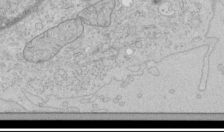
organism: Human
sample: Mitochondria in HCT116 cells